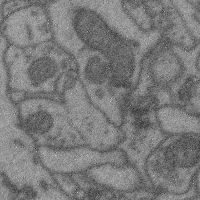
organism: Mouse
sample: Cerebral cortex